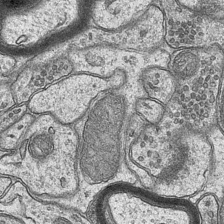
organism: Mouse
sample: CA1 Hippocampus